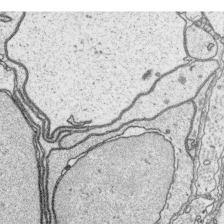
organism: Platynereis dumerilii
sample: Parapodia